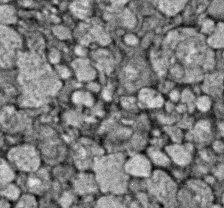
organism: Zebrafish